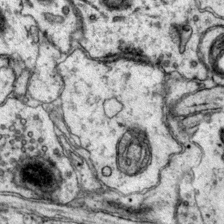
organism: Mouse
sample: Primary visual cortex